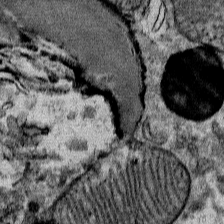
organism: Mouse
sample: Mouse Salivary gland